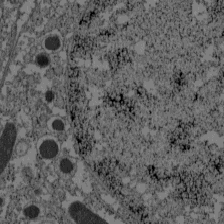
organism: C57BL Mouse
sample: Pancreatic islet